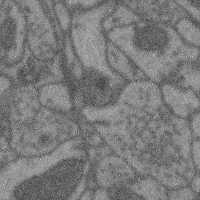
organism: Mouse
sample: Cerebral cortex